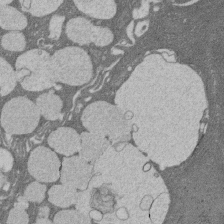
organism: Rat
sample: Salivary granule